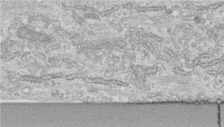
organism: Human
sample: Centriole in fibroblast cells